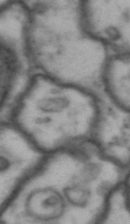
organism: Drosophila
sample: Brain